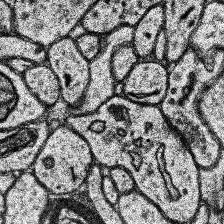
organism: Human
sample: Temporal Lobe